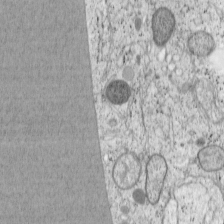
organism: African green monkey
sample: COS-7 cells